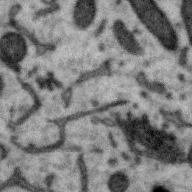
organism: Zebra finch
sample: Brain